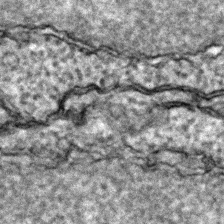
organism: Zebrafish